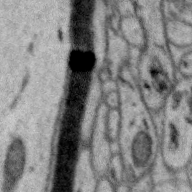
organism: Zebra finch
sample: Brain